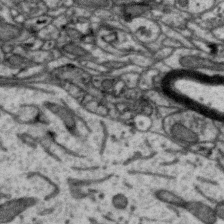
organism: Zebra finch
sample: Brain